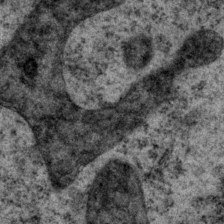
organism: P. pacificus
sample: Pharynx